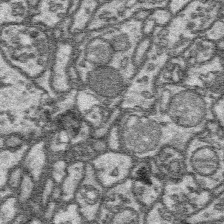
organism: Platynereis dumerilii